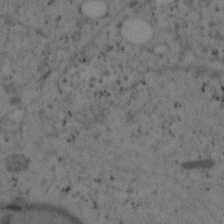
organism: Human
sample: HeLa cells